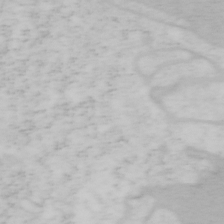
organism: Mouse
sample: OT-I killer T cells with ID8 ovarian cancer cells